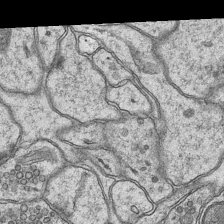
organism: Mouse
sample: CA1 Hippocampus